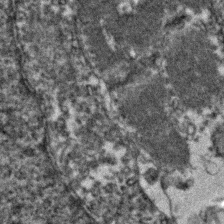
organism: Zebrafish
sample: Zebrafish embryo